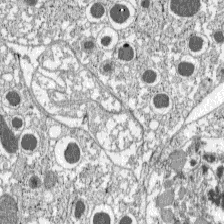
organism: C57BL Mouse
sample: Pancreatic islet